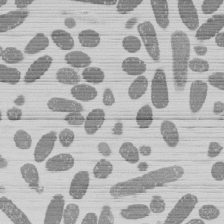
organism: E. coli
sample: Bacterial nucleoid